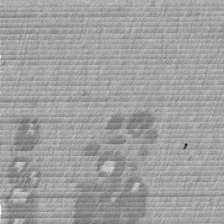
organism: Mouse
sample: Dividing mouse embryo 1 cell stage